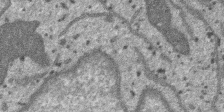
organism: Human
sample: Lung epithelial cells infected with SARS-CoV-2